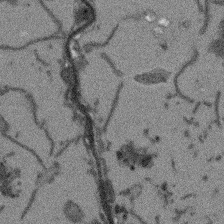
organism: Arabidopsis thaliana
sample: Root tip